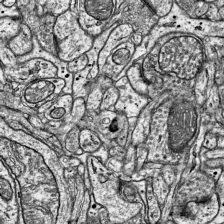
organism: Mouse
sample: Visual Cortex